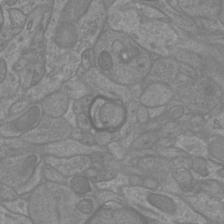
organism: Mouse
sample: Cortical neurons